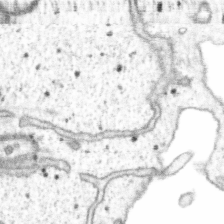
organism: Human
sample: HeLa cells